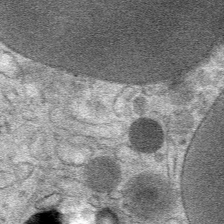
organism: Mouse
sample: Mouse Salivary gland